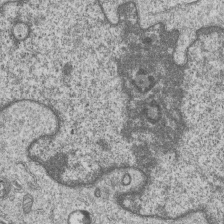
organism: Human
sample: MDA-MB-231 cells